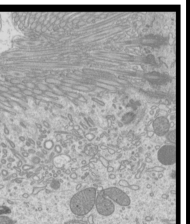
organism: Mouse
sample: Cilia; mouse epididymis